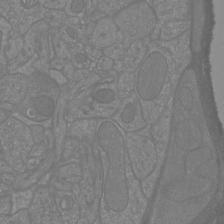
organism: Mouse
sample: Cortical neurons